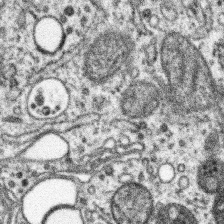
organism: Human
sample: HeLa cells